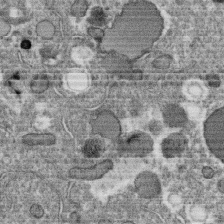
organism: C. elegans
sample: C. elegans oocyte; sperm cells